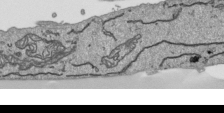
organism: Human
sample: Mitochondria in HCT116 cells